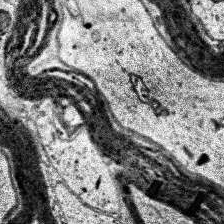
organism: Human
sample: Temporal Lobe